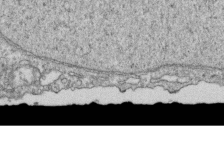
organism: Human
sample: HeLa cell HIV synapse